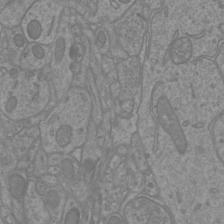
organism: Mouse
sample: Cortical neurons